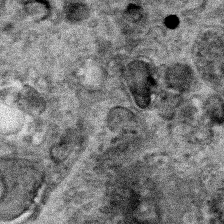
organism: Human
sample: Mitochondria in HCT116 cells